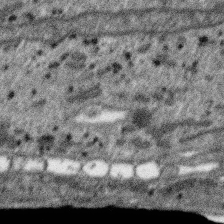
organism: Human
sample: Lung epithelial cells infected with SARS-CoV-2